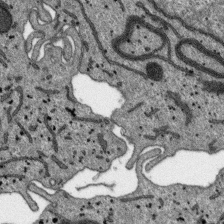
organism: Human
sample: Lung epithelial cells, uninfected (mock) control